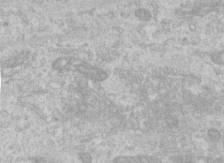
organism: Human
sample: Centriole in RPE cells